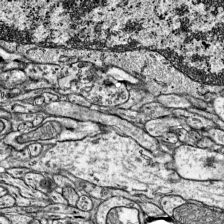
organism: Mouse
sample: Visual Cortex